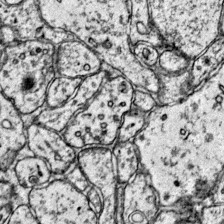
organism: Mouse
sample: Primary visual cortex